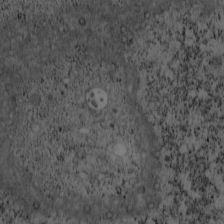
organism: African green monkey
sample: COS-7 cells